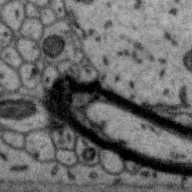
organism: Zebra finch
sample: Brain